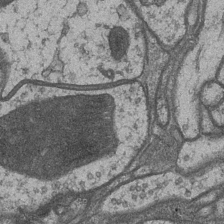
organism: Drosophila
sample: Optic medulla